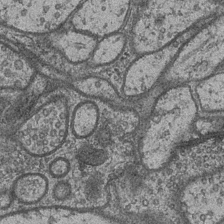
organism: Drosophila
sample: Optic medulla